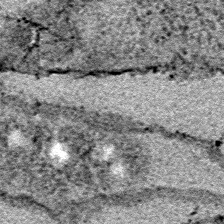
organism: E. coli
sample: E. Coli Bacteria